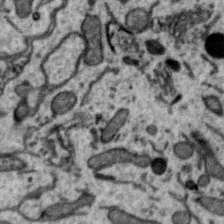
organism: Zebra finch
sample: Brain